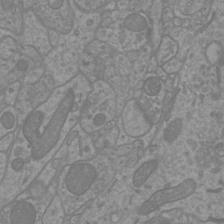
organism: Mouse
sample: Cortical neurons